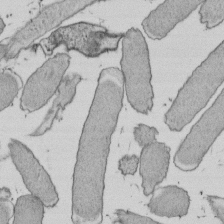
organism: E. coli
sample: Bacterial nucleoid